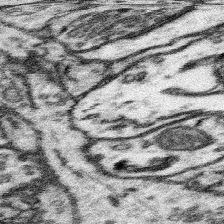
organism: Mouse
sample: Somatosensory cortex neuropil